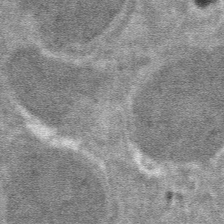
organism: Mouse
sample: Mouse hepatocytes